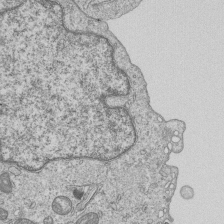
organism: Human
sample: MDA-MB-231 cells